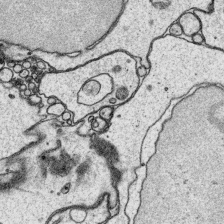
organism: Platynereis dumerilii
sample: Parapodia